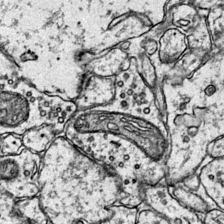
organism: Mouse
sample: Primary visual cortex